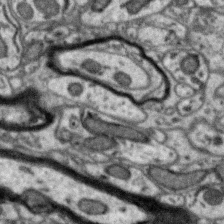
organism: Zebra finch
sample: Brain